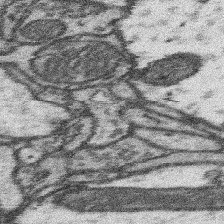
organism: Mouse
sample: Somatosensory cortex neuropil